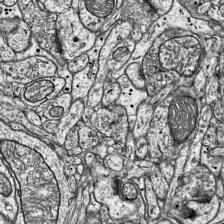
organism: Mouse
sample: Visual Cortex